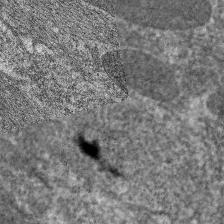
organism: C. elegans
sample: Pharynx